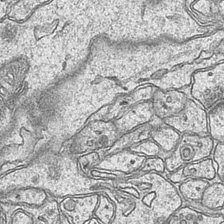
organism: Mouse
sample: CA1 Hippocampus